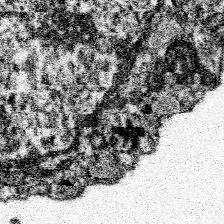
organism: Spongilla lacustris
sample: Neuroid cell